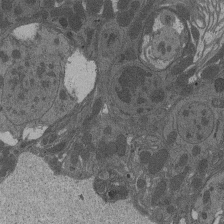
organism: Drosophila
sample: Antenna